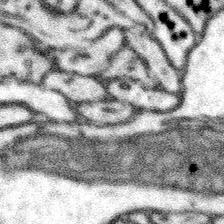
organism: Mouse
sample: Somatosensory cortex neuropil